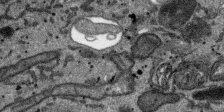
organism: Human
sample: Lung epithelial cells, uninfected (mock) control